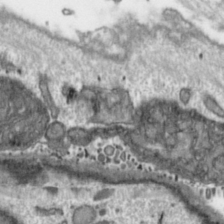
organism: Toxoplasma gondii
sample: Parasites in a vacuole inside a host cell